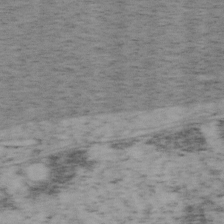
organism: Mouse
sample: OT-I killer T cells with ID8 ovarian cancer cells